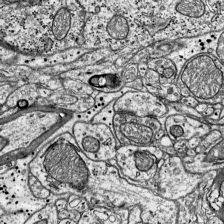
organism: Mouse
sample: Visual Cortex